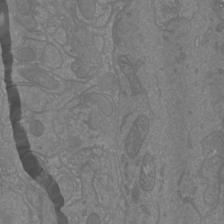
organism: Mouse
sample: Cortical neurons